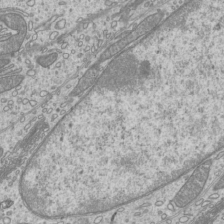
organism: Mouse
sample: Cilia; mouse epididymis